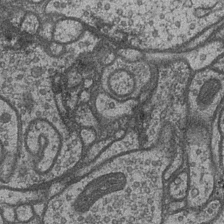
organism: Drosophila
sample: Optic medulla